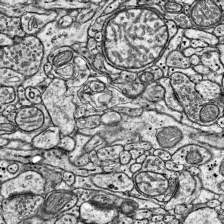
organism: Mouse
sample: Visual Cortex